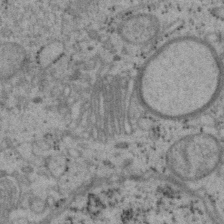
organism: Human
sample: HeLa cells